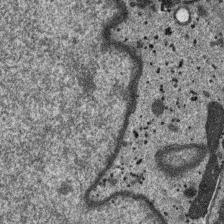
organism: Human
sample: Lung epithelial cells infected with SARS-CoV-2